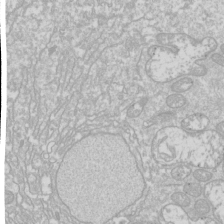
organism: Drosophila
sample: Cell division; meiosis; drosophila spermatocytes